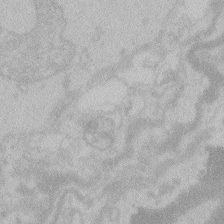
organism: Zebrafish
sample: Macrophage infected with Toxoplasma gondii